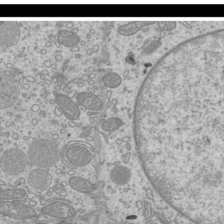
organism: Mouse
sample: Cilia; mouse epididymis